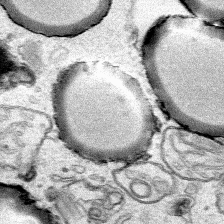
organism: Human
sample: Mitochondria in HCT116 cells